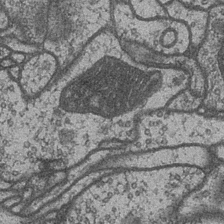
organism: Drosophila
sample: Optic medulla